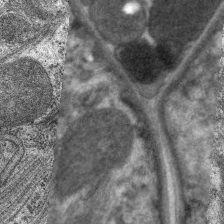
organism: C. elegans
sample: Pharynx